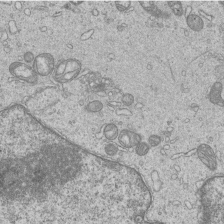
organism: Human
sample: MDA-MB-231 cells